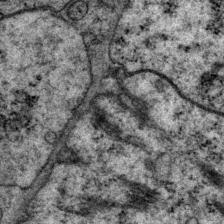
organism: P. pacificus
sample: Pharynx